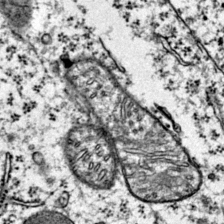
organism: Mouse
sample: Primary visual cortex